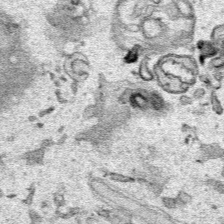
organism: Human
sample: Mitochondria in HCT116 cells